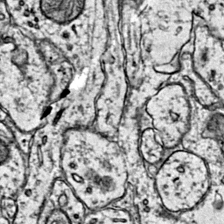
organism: Mouse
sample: Primary visual cortex